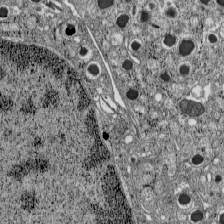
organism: C57BL Mouse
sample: Pancreatic islet